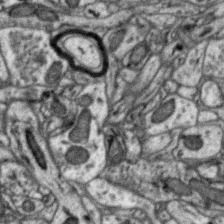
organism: Zebra finch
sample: Brain